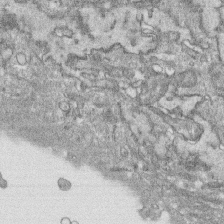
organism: Human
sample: CRL-1474